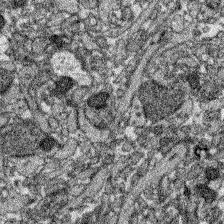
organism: Zebrafish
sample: Larval olfactory bulb